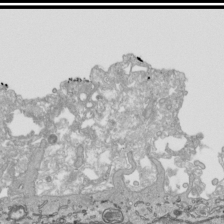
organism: Human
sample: Mitochondria in HCT116 cells